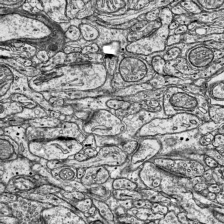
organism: Mouse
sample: Visual Cortex